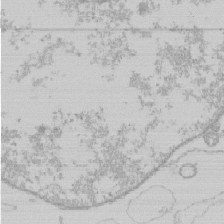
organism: Human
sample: Macrophage cells